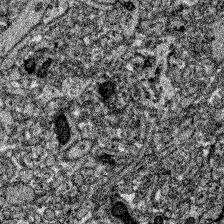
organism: Zebrafish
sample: Larval olfactory bulb